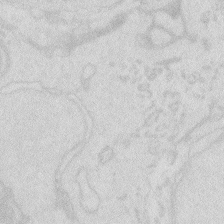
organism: Zebrafish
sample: Macrophage